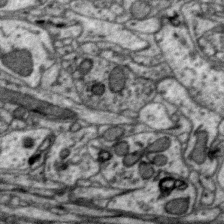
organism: Zebra finch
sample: Brain